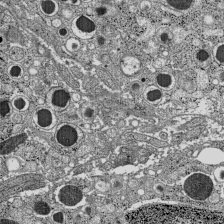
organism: C57BL Mouse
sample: Pancreatic islet